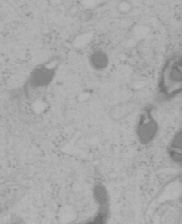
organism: Mouse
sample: OT-I killer T cells with ID8 ovarian cancer cells